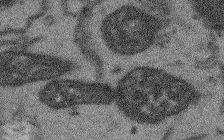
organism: Arabidopsis thaliana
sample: Root tip